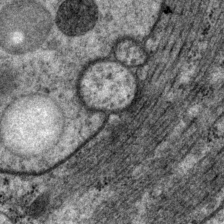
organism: P. pacificus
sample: Pharynx